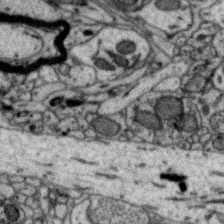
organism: Zebra finch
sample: Brain